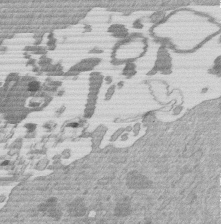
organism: Mouse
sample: Dividing mouse embryo 1 cell stage